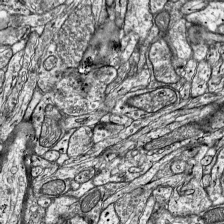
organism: Mouse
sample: Visual Cortex